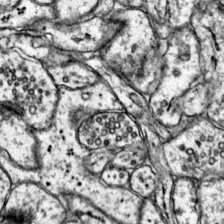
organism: Mouse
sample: Primary visual cortex